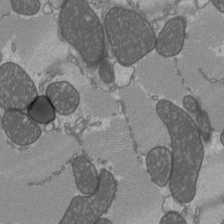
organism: C57BL Mouse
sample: Heart